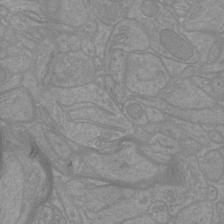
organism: Mouse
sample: Cortical neurons